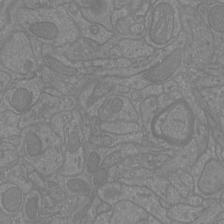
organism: Mouse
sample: Cortical neurons